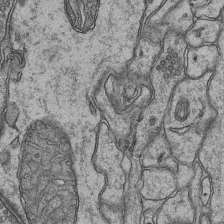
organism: Mouse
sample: CA1 Hippocampus